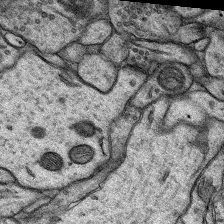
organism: Rat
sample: Hippocampus